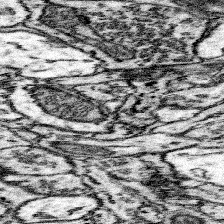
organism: Mouse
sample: Somatosensory cortex neuropil